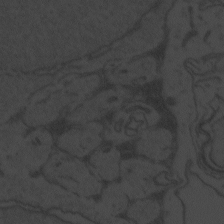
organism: Zebrafish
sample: Macrophage infected with Toxoplasma gondii